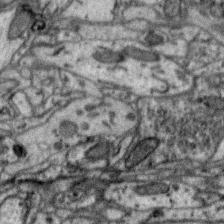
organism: Zebra finch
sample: Brain